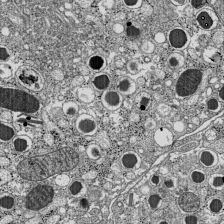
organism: C57BL Mouse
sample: Pancreatic islet